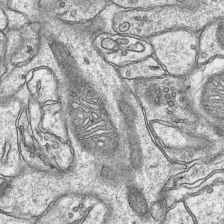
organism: Mouse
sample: CA1 Hippocampus